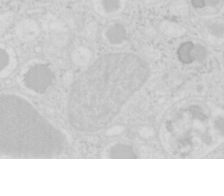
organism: Mouse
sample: Pancreas